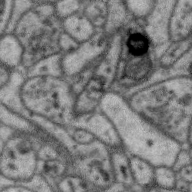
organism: Zebra finch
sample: Brain